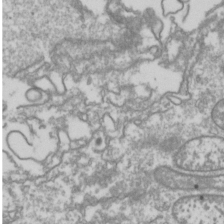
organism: Drosophila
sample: Cell division; meiosis; drosophila spermatocytes